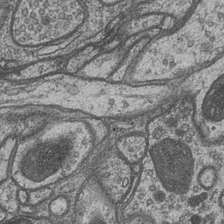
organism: Drosophila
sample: Optic medulla